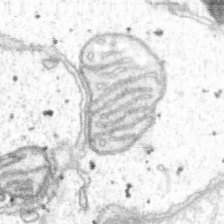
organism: Human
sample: HeLa cells